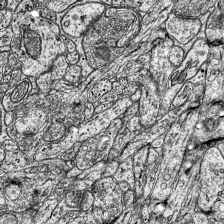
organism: Mouse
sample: Visual Cortex